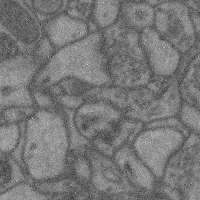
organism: Mouse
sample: Cerebral cortex